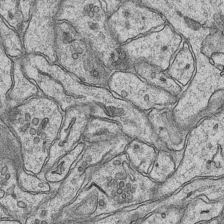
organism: Mouse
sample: CA1 Hippocampus